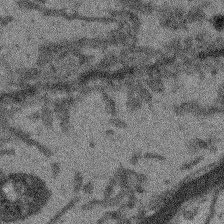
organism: Arabidopsis thaliana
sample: Root tip